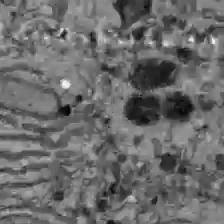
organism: C57BL Mouse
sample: Liver